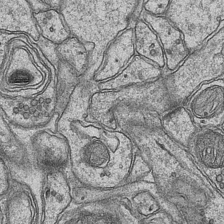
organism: Mouse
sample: CA1 Hippocampus